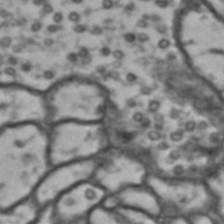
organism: Drosophila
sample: Brain